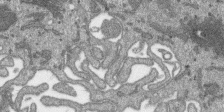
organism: Human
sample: Lung epithelial cells infected with SARS-CoV-2